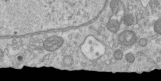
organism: Human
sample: Centriole in RPE cells